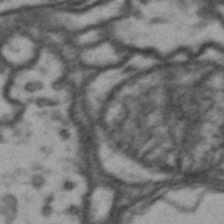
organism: Drosophila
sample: Brain